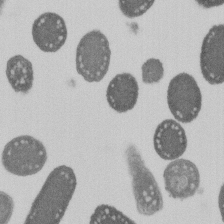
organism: E. coli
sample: Bacterial nucleoid